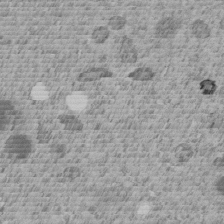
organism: C. elegans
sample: C. elegans embryo early stage